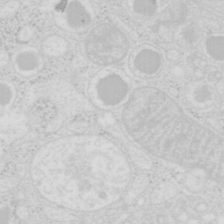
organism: Mouse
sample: Pancreas